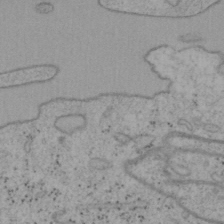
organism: Human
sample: HeLa cells